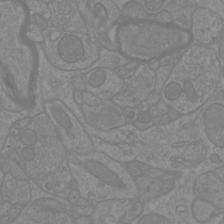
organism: Mouse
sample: Cortical neurons